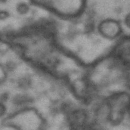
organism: Drosophila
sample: Brain